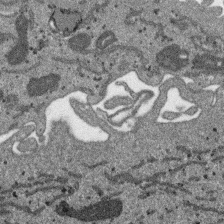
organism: Human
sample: Lung epithelial cells infected with SARS-CoV-2